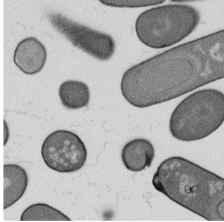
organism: B. subtilis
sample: Bacterial spore